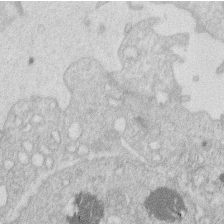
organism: Human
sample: Macrophage cells